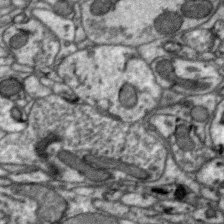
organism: Zebra finch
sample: Brain